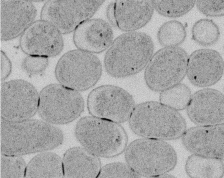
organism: E. coli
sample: Bacterial nucleoid